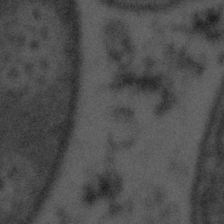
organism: Tuwongella immobilis